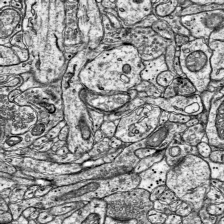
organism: Mouse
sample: Visual Cortex